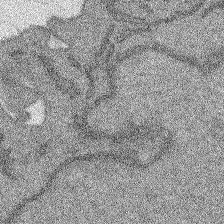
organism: Human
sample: HeLa cells